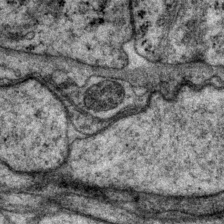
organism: P. pacificus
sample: Pharynx